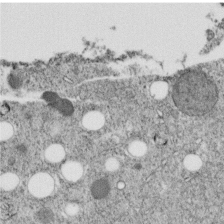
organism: C. elegans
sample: C. elegans embryo early stage